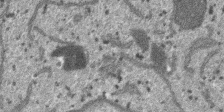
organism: Human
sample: Lung epithelial cells infected with SARS-CoV-2